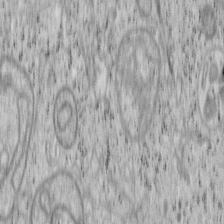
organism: Human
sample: HeLa cells